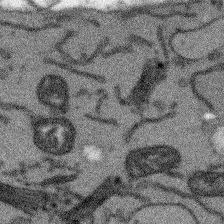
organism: Arabidopsis thaliana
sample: Root tip